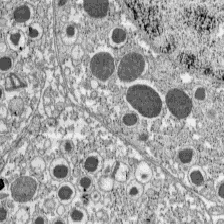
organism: C57BL Mouse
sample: Pancreatic islet